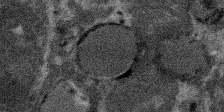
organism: Human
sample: Lung epithelial cells infected with SARS-CoV-2